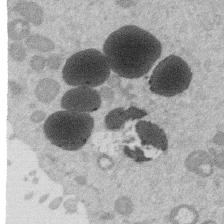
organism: Mouse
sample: Dividing mouse embryo 1 cell stage